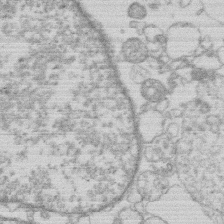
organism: Human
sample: Macrophage cells